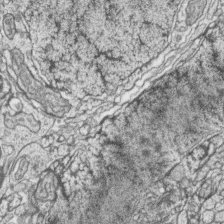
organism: Zebrafish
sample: synaptic ribbons in rod cells and cone cells